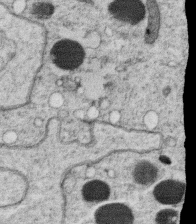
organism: C. elegans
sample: C. elegans oocyte; sperm cells